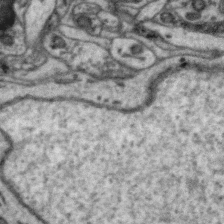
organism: Zebra finch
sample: Brain